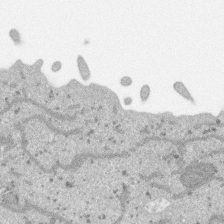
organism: Human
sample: Lung epithelial cells infected with SARS-CoV-2